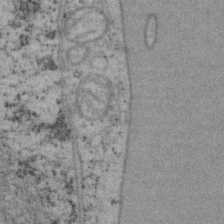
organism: Human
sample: HeLa cells